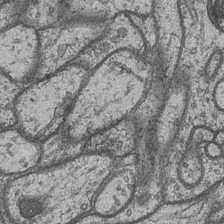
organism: Drosophila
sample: Optic medulla